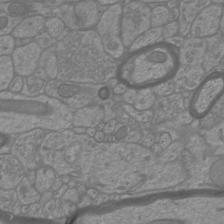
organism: Mouse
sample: Cortical neurons